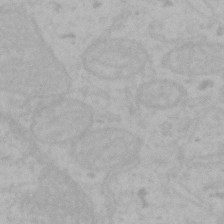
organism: Mouse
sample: Choroid plexus